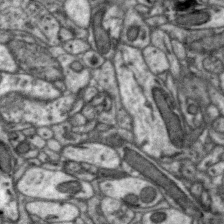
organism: Zebra finch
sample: Brain